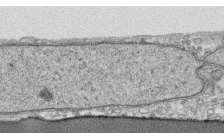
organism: Human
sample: CRL-1474